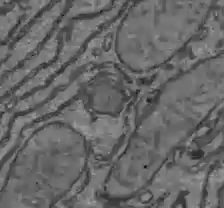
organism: C57BL Mouse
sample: Liver